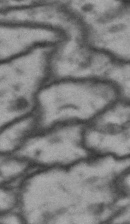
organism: Drosophila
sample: Brain